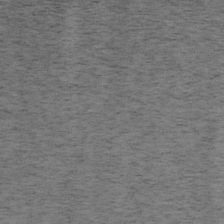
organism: Mouse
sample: OT-I killer T cells with ID8 ovarian cancer cells